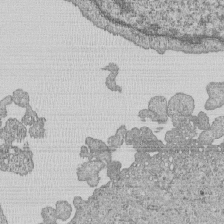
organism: Human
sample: MDA-MB-231 cells